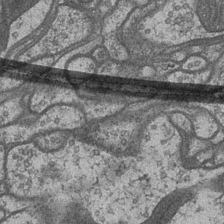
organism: Drosophila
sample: Optic medulla